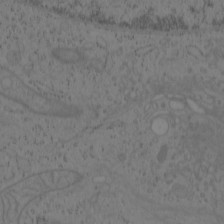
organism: Human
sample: HeLa cells